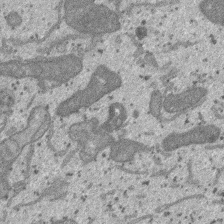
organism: Human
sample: Lung epithelial cells infected with SARS-CoV-2